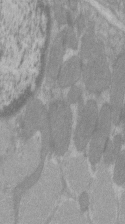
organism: C57BL Mouse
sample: Tibialis anterior muscle cell